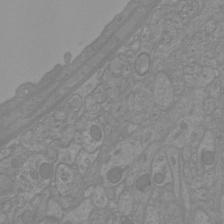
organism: Mouse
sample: Cortical neurons